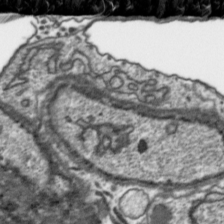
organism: Toxoplasma gondii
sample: Parasites in a vacuole inside a host cell